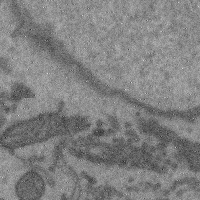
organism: Mouse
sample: Cerebral cortex